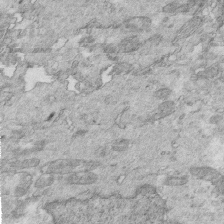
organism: Mouse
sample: Multiciliated cells